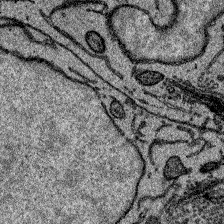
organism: Zebrafish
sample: Larval olfactory bulb